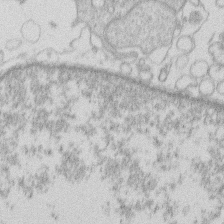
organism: Human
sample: Macrophage cells